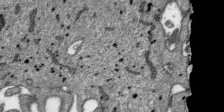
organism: Human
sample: Lung epithelial cells, uninfected (mock) control